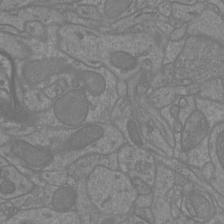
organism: Mouse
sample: Cortical neurons